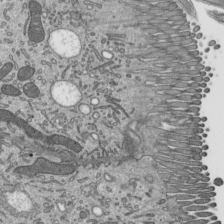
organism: Mouse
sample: Mouse epididymis efferent ductule cilia